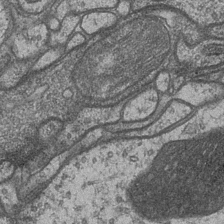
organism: Drosophila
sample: Optic medulla